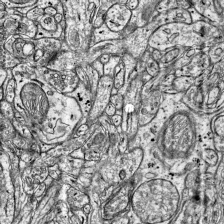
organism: Mouse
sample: Visual Cortex